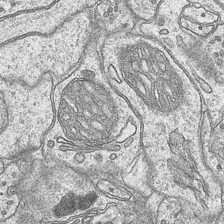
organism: Mouse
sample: CA1 Hippocampus